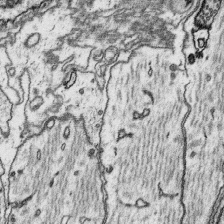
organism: Platynereis dumerilii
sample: Parapodia